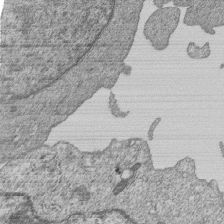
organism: Human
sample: MDA-MB-231 cells